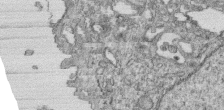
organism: Human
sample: HeLa cell HIV synapse